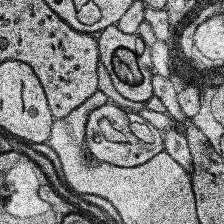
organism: Human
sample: Temporal Lobe